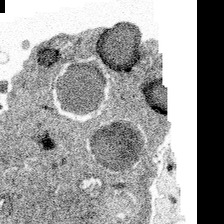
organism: Spongilla lacustris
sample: Multiple